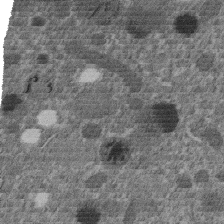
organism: C. elegans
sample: C. elegans embryo early stage